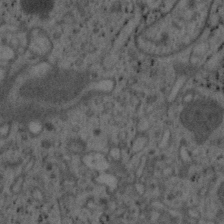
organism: Human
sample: HeLa cells